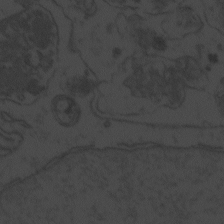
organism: Zebrafish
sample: Macrophage infected with Toxoplasma gondii